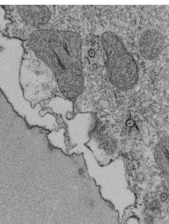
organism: Tetrahymena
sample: Cilia in tetrahymena